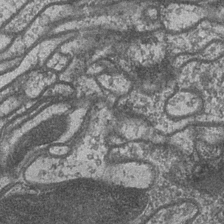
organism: Drosophila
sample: Optic medulla